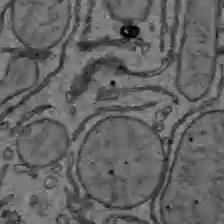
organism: C57BL Mouse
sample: Liver